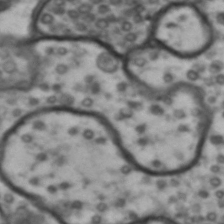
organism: Drosophila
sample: Brain